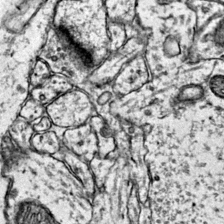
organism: Mouse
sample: Primary visual cortex